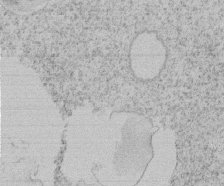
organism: Tetrahymena